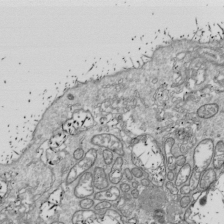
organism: Drosophila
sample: Cell division; meiosis; drosophila spermatocytes